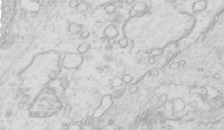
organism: Mouse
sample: Multiciliated cells